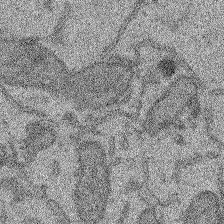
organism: Human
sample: HeLa cells